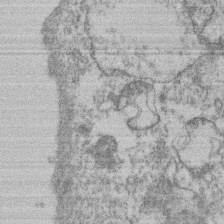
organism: Mouse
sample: T cell stromal cell synapse